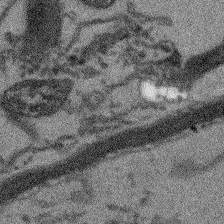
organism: Arabidopsis thaliana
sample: Root tip